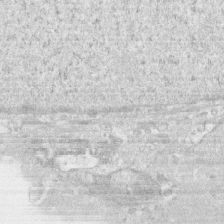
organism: Human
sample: CRL-1474